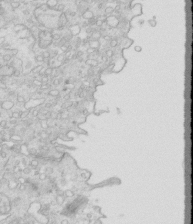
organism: Mouse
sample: Multiciliated cells